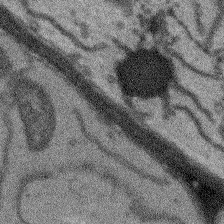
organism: Arabidopsis thaliana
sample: Root tip